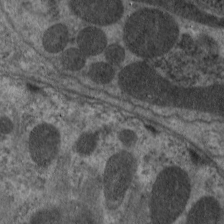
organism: C. elegans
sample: Pharynx